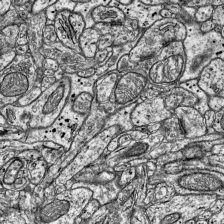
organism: Mouse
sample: Visual Cortex